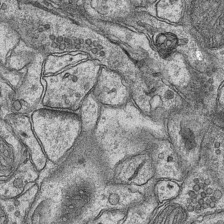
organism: Mouse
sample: CA1 Hippocampus